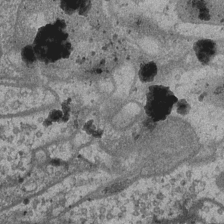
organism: Drosophila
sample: Optic medulla